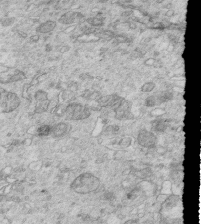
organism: Mouse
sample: Multiciliated cells